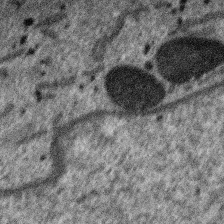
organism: Human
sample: Lung epithelial cells infected with SARS-CoV-2